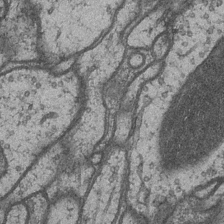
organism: Drosophila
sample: Optic medulla